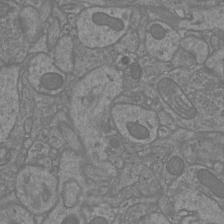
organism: Mouse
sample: Cortical neurons